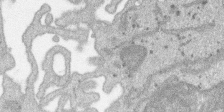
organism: Human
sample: Lung epithelial cells infected with SARS-CoV-2